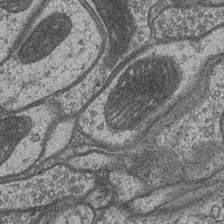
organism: Drosophila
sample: Optic medulla